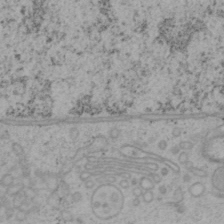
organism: Human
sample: HeLa cells